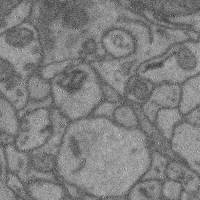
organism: Mouse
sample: Cerebral cortex